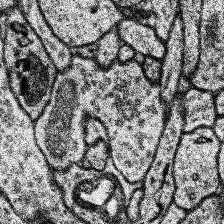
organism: Human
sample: Temporal Lobe